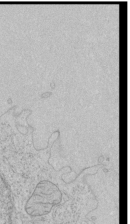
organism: Human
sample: Mitochondria in HCT116 cells